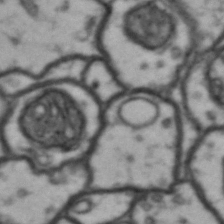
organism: Drosophila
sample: Brain